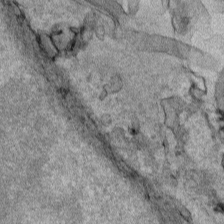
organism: Human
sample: Mitochondria in HCT116 cells